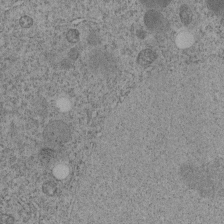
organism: C. elegans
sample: C. elegans embryo early stage